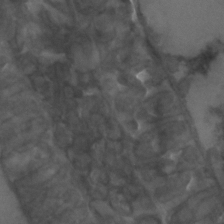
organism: C. elegans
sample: C. elegans embryo